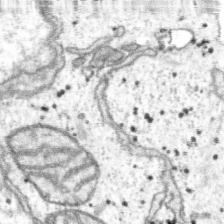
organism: Human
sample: HeLa cells